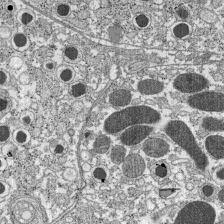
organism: C57BL Mouse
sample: Pancreatic islet